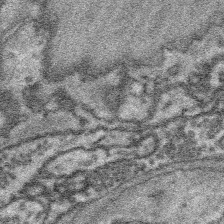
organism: Platynereis dumerilii